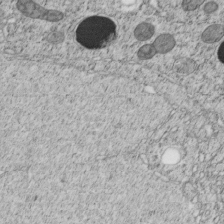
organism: C. elegans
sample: C. elegans embryo early stage